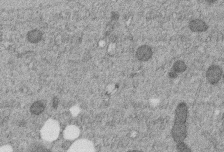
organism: C. elegans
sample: C. elegans embryo early stage